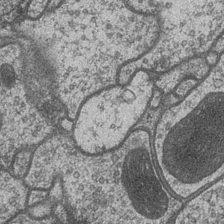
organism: Drosophila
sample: Optic medulla